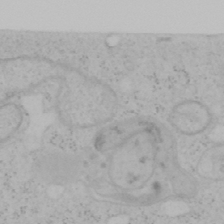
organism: Mouse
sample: OT-I killer T cells with ID8 ovarian cancer cells